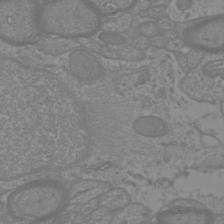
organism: Mouse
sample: Cortical neurons